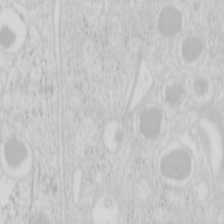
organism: Mouse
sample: Pancreas